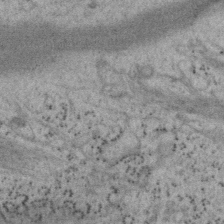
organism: Human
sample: HeLa cells